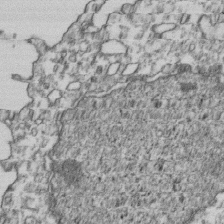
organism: Human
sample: Activated Jurkat CD4+ T cells